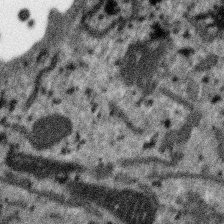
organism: Human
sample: Lung epithelial cells infected with SARS-CoV-2